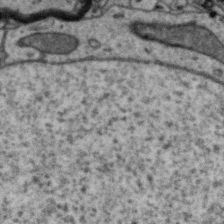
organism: Zebra finch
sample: Brain